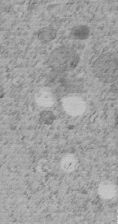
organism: C. elegans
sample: C. elegans embryo early stage